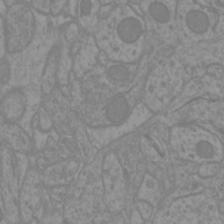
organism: Mouse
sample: Cortical neurons